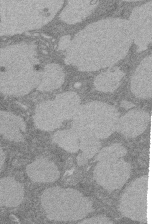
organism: Rat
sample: Salivary granule